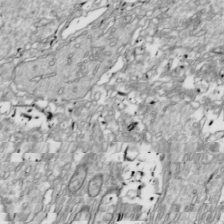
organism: Drosophila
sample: Cell division; meiosis; drosophila spermatocytes